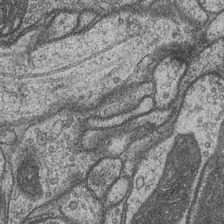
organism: Drosophila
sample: Optic medulla